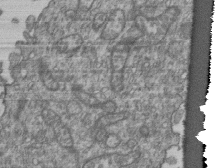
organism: Human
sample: Retinal organoid Rod and Cone cells